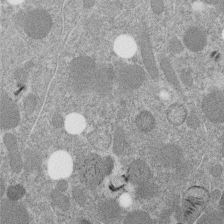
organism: C. elegans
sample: C. elegans embryo early stage